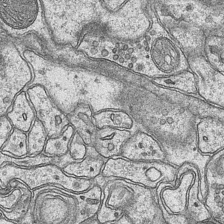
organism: Mouse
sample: CA1 Hippocampus